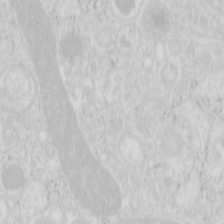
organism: Mouse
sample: Pancreas